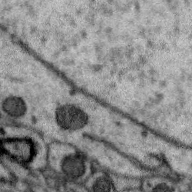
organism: Zebra finch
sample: Brain